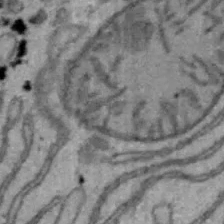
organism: Mouse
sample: Liver